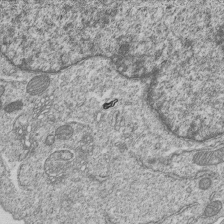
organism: Human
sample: MDA-MB-231 cells